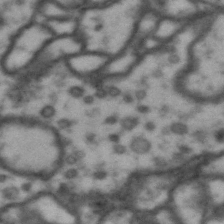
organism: Drosophila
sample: Brain